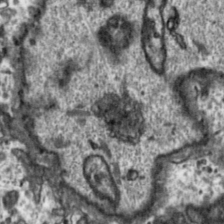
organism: Toxoplasma gondii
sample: Parasites in a vacuole inside a host cell